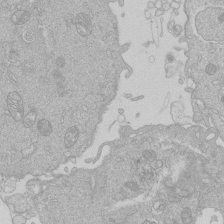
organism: Human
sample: Macrophage cells